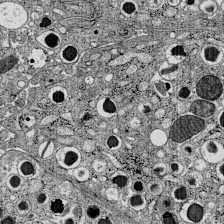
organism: C57BL Mouse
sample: Pancreatic islet